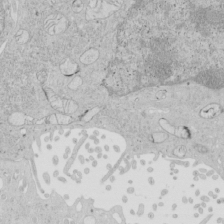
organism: Human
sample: Mitochondria in HCT116 cells